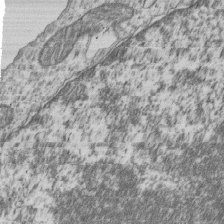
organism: Human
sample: MDA-MB-231 cells